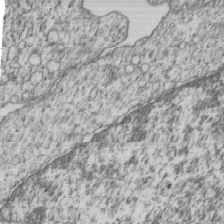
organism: Human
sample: MDA-MB-231 cells